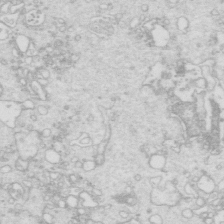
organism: Mouse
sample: Multiciliated cells